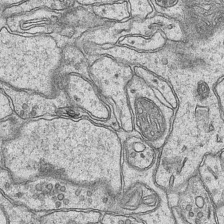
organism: Mouse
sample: CA1 Hippocampus